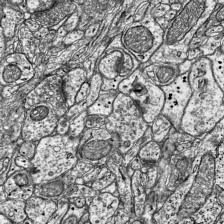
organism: Mouse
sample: Visual Cortex